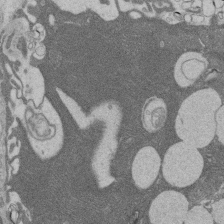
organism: Rat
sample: Salivary granule